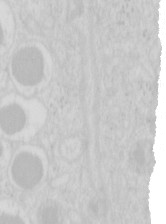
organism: Mouse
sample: Pancreas